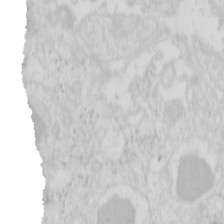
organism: Mouse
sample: Pancreas